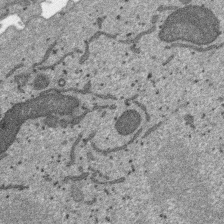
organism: Human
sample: Lung epithelial cells infected with SARS-CoV-2